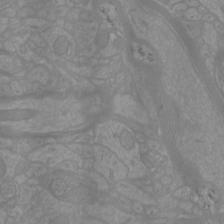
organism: Mouse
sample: Cortical neurons